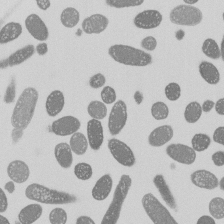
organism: E. coli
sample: Bacterial nucleoid